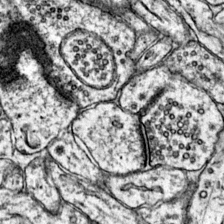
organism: Mouse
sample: Primary visual cortex